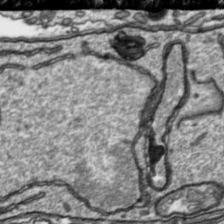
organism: Toxoplasma gondii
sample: Parasites in a vacuole inside a host cell